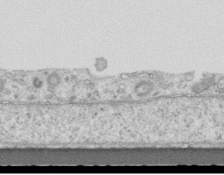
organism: Mouse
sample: Centriole in ependymal cells